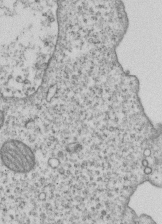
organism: Human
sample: MDA-MB-231 cells